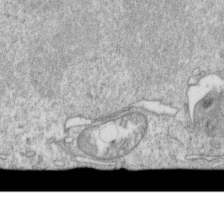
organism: Mouse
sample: Activated OT-1 CD8+ T cells